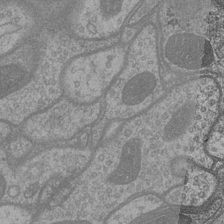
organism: Drosophila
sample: Optic medulla